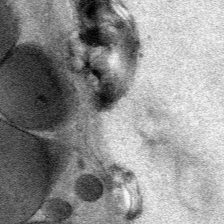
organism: Mouse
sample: Mouse Salivary gland